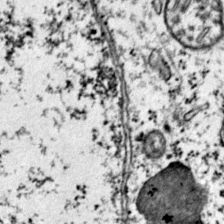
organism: Mouse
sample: Primary visual cortex